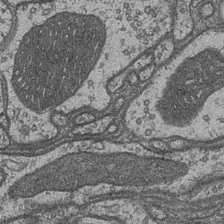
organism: Drosophila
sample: Optic medulla